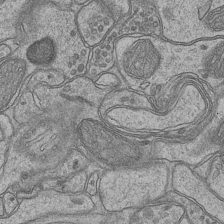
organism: Mouse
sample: CA1 Hippocampus